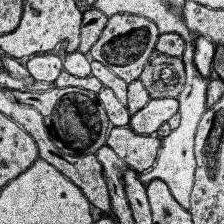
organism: Human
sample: Temporal Lobe